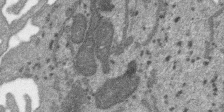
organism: Human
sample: Lung epithelial cells infected with SARS-CoV-2